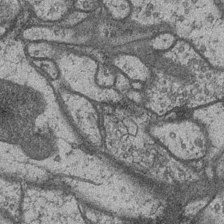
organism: Drosophila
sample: Optic medulla